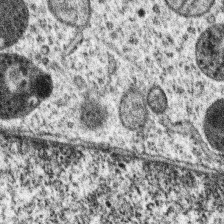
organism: Human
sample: HeLa cells